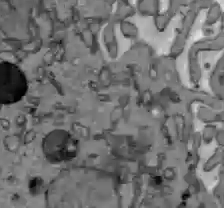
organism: C57BL Mouse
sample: Liver